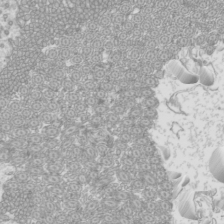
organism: Mouse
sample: Cilia; mouse epididymis